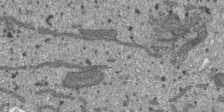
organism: Human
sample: Lung epithelial cells infected with SARS-CoV-2